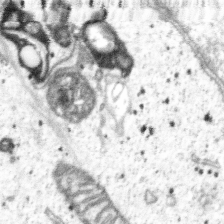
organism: Human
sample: HeLa cells